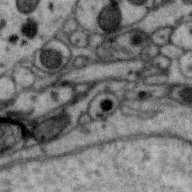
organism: Zebra finch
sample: Brain